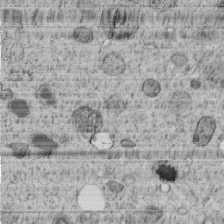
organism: C. elegans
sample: C. elegans embryo early stage